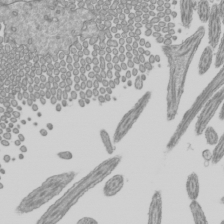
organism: Mouse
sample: Cilia; mouse epididymis